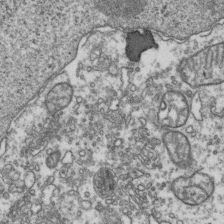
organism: Human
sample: Activated Jurkat CD4+ T cells